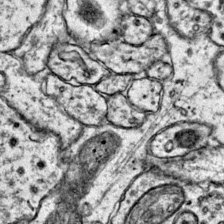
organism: Mouse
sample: Primary visual cortex